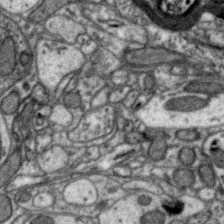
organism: Zebra finch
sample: Brain